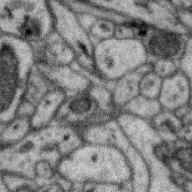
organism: Zebra finch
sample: Brain